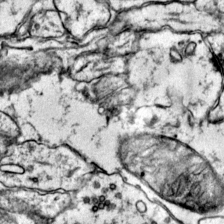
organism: Mouse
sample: Primary visual cortex